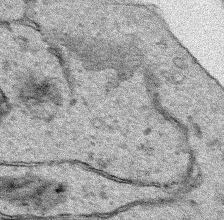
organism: Human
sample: Mitochondria in HCT116 cells